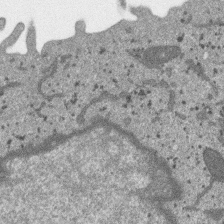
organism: Human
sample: Lung epithelial cells infected with SARS-CoV-2